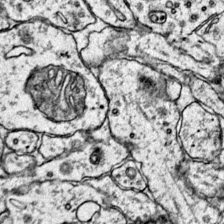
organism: Mouse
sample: Primary visual cortex